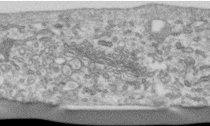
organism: Human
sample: Centriole in RPE cells